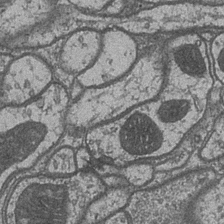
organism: Drosophila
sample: Optic medulla